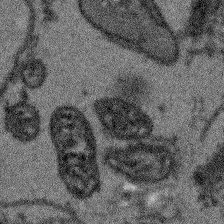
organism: Arabidopsis thaliana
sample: Root tip